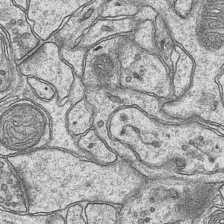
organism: Mouse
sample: CA1 Hippocampus